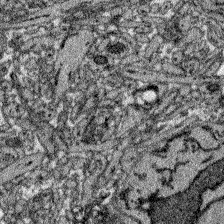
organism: Zebrafish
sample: Larval olfactory bulb